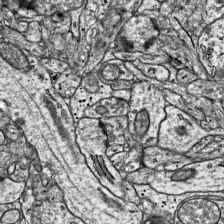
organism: Mouse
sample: Visual Cortex